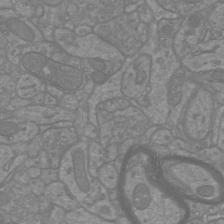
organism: Mouse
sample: Cortical neurons